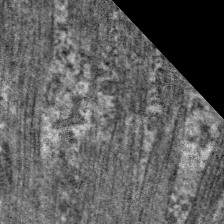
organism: C. elegans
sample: Pharynx